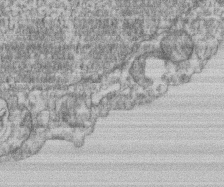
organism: Mouse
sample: T cell stromal cell synapse